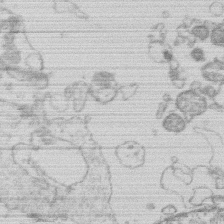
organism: Human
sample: Macrophage cells